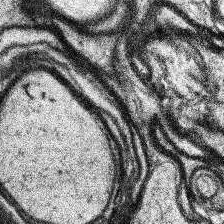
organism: Human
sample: Temporal Lobe